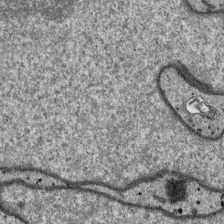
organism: Human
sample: Lung epithelial cells, uninfected (mock) control